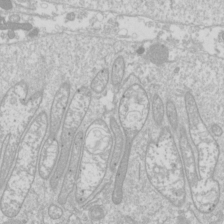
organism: Drosophila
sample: Cell division; meiosis; drosophila spermatocytes